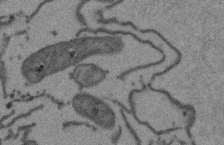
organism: Arabidopsis thaliana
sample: Root tip